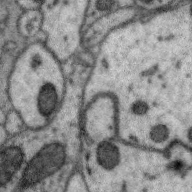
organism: Zebra finch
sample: Brain